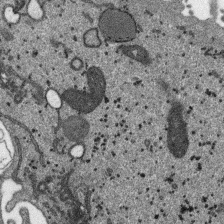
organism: Human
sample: Lung epithelial cells infected with SARS-CoV-2